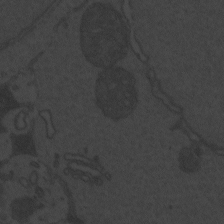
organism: Zebrafish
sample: Macrophage infected with Toxoplasma gondii